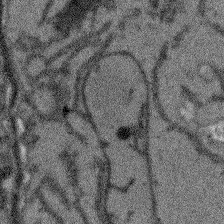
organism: Arabidopsis thaliana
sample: Root tip